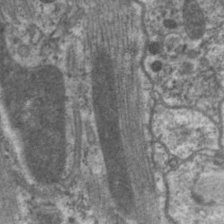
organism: C. elegans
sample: Pharynx